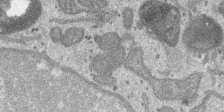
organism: Human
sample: Lung epithelial cells infected with SARS-CoV-2